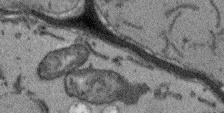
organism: Arabidopsis thaliana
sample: Root tip